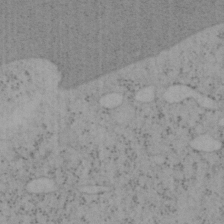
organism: Mouse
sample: OT-I killer T cells with ID8 ovarian cancer cells